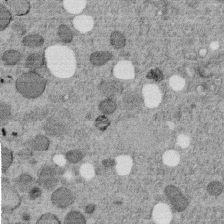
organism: C. elegans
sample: C. elegans embryo early stage